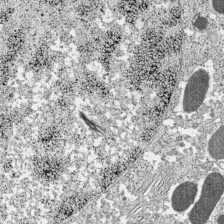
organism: C57BL Mouse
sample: Pancreatic islet